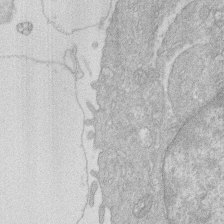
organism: Human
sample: Macrophage cells